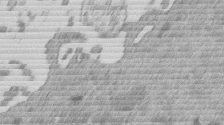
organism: Mouse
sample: Dividing mouse embryo 1 cell stage